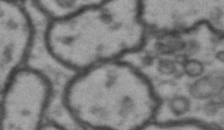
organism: Drosophila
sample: Brain